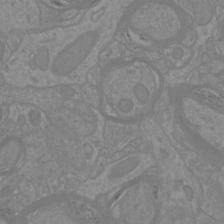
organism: Mouse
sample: Cortical neurons